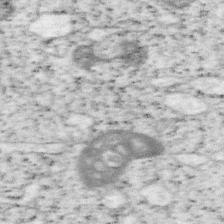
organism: Mouse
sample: OT-I killer T cells with ID8 ovarian cancer cells